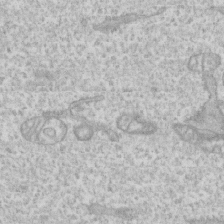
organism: Human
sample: CRL-1474